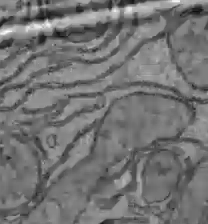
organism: C57BL Mouse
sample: Liver